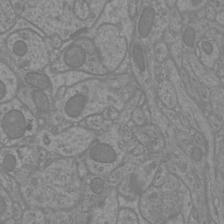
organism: Mouse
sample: Cortical neurons